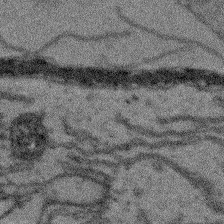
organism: Arabidopsis thaliana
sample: Root tip